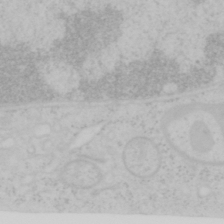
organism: Mouse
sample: OT-I killer T cells with ID8 ovarian cancer cells